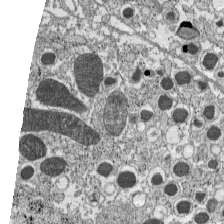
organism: C57BL Mouse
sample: Pancreatic islet